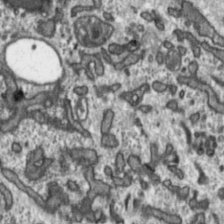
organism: Toxoplasma gondii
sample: Parasites in a vacuole inside a host cell